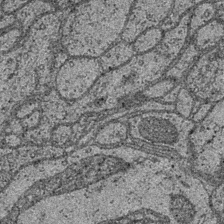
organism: Drosophila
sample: Optic medulla